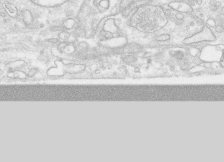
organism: Human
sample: CRL-1474